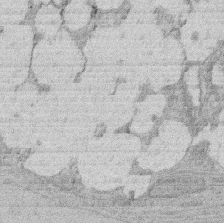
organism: Rat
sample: Salivary granule